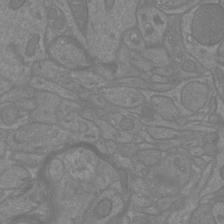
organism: Mouse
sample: Cortical neurons